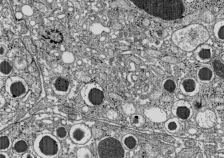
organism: C57BL Mouse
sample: Pancreatic islet